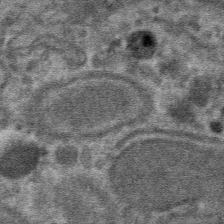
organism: Mouse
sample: Mouse hepatocytes